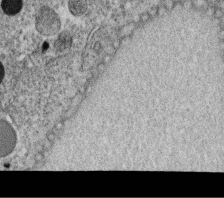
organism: C. elegans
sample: C. elegans oocyte; sperm cells